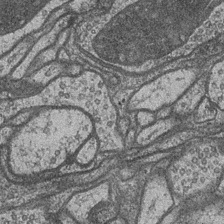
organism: Drosophila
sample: Optic medulla